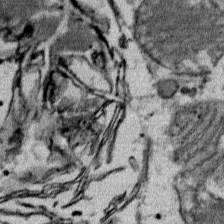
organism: Mouse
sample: Mouse Salivary gland